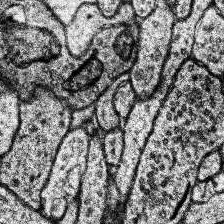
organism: Human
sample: Temporal Lobe